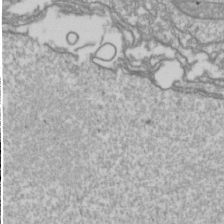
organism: Drosophila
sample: Cell division; meiosis; drosophila spermatocytes